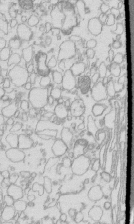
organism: Mouse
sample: Macrophages